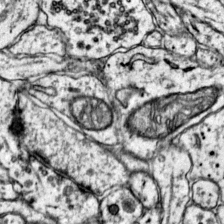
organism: Mouse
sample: Primary visual cortex